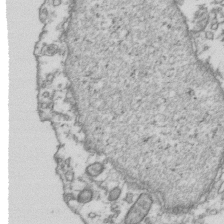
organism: Human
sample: Activated Jurkat CD4+ T cells